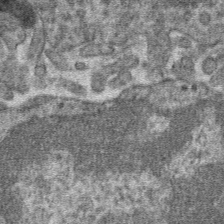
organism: Mouse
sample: Mouse hepatocytes